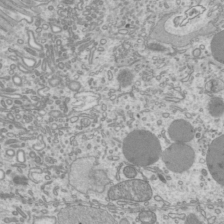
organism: Mouse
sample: Cilia; mouse epididymis